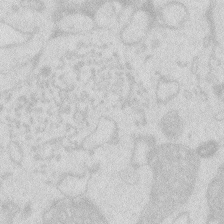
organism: Zebrafish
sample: Macrophage